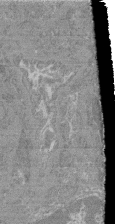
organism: Mouse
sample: Glomerulus